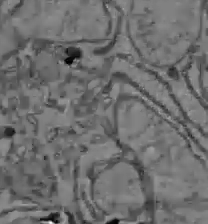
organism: C57BL Mouse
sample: Liver